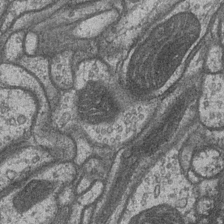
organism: Drosophila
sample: Optic medulla